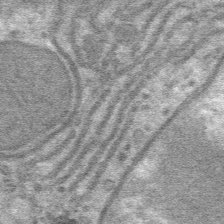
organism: Mouse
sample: Mouse hepatocytes